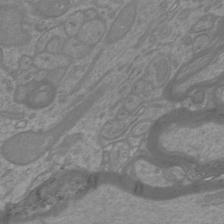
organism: Mouse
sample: Cortical neurons